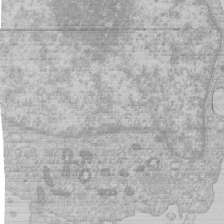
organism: Human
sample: Macrophage cells